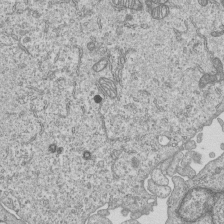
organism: Human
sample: MDA-MB-231 cells